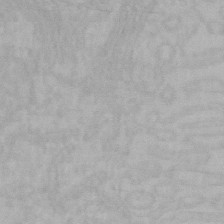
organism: Mouse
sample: Choroid plexus